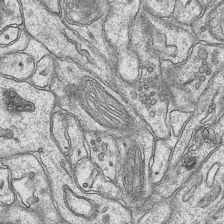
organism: Mouse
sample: CA1 Hippocampus